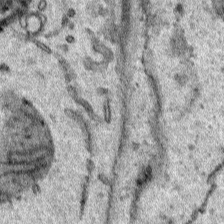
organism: Human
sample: Mitochondria in HCT116 cells